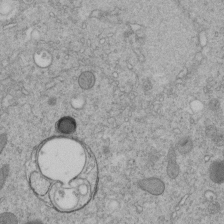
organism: C. elegans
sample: C. elegans embryo early stage